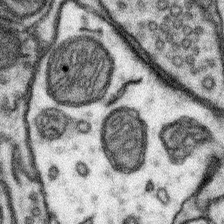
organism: Mouse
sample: Somatosensory cortex neuropil